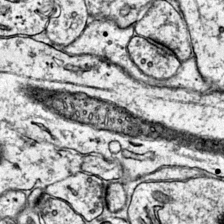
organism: Mouse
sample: Primary visual cortex